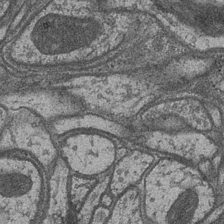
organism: Drosophila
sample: Optic medulla